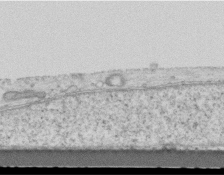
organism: Mouse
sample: Centriole in ependymal cells